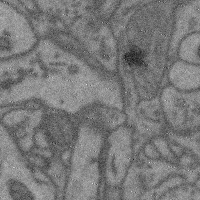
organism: Mouse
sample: Cerebral cortex